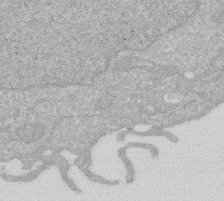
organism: Human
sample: HIV infected U937 cells